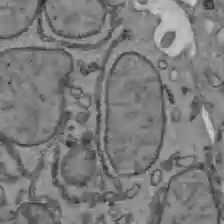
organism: C57BL Mouse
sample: Liver